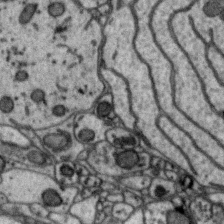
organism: Zebra finch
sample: Brain